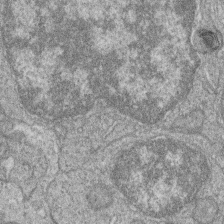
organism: Zebrafish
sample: Cilia; retinal pigment epithelium